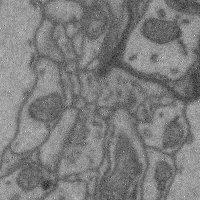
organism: Mouse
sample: Cerebral cortex